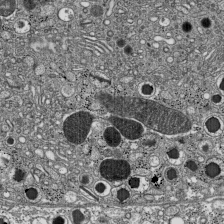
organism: C57BL Mouse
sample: Pancreatic islet